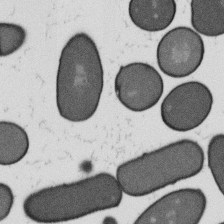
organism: B. subtilis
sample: Bacterial spore